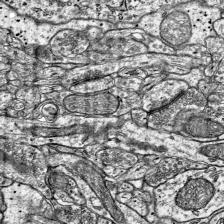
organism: Mouse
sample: Visual Cortex